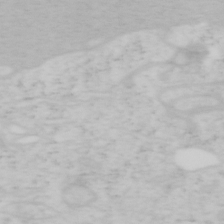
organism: Mouse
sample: OT-I killer T cells with ID8 ovarian cancer cells